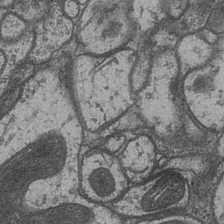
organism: Drosophila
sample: Optic medulla